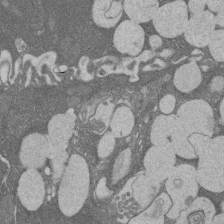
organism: Rat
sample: Salivary granule